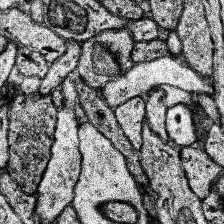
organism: Human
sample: Temporal Lobe